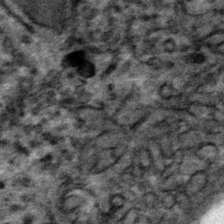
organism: Mouse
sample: Mouse hepatocytes